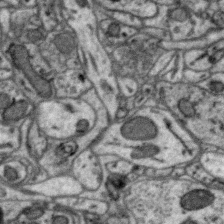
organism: Zebra finch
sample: Brain